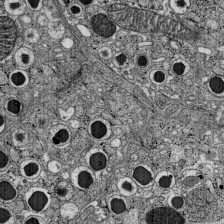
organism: C57BL Mouse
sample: Pancreatic islet